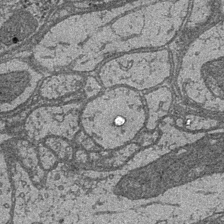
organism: Drosophila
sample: Optic medulla